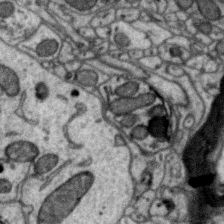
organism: Zebra finch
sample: Brain